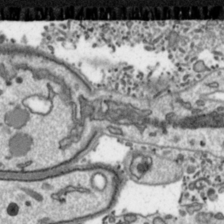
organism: Toxoplasma gondii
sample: Parasites in a vacuole inside a host cell